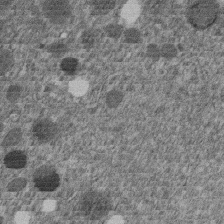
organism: C. elegans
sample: C. elegans embryo early stage